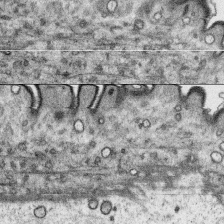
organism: Platynereis dumerilii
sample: Parapodia